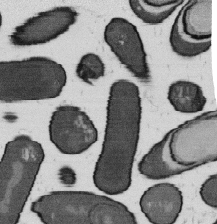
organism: B. subtilis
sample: Bacterial spore